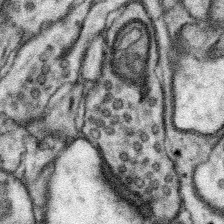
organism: Mouse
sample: Somatosensory cortex neuropil